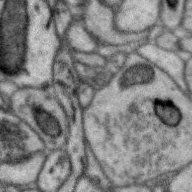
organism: Zebra finch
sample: Brain